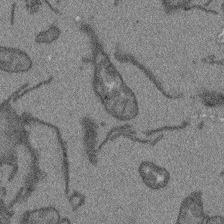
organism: Arabidopsis thaliana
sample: Root tip